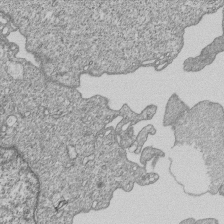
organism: Human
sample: MDA-MB-231 cells